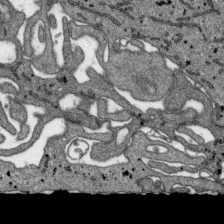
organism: Human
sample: Lung epithelial cells, uninfected (mock) control